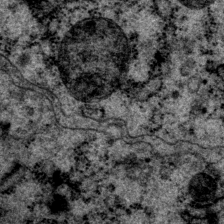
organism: P. pacificus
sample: Pharynx